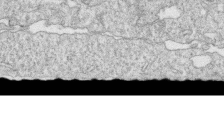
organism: Human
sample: HeLa cell HIV synapse